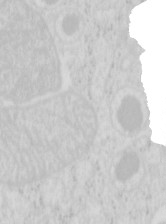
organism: Mouse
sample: Pancreas